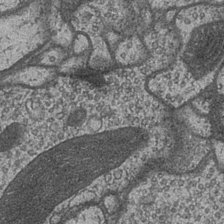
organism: Drosophila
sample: Optic medulla